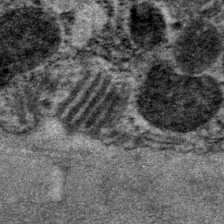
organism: P. pacificus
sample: Pharynx